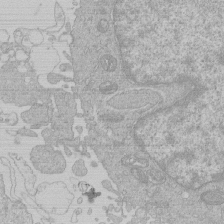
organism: Human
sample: Macrophage cells